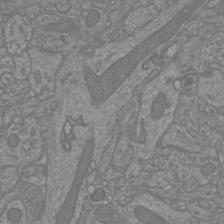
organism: Mouse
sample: Cortical neurons